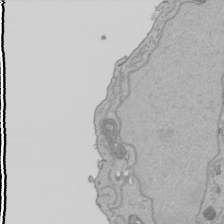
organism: Human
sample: Mitochondria in HCT116 cells